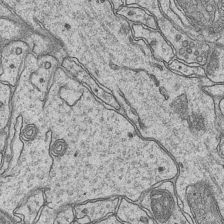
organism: Mouse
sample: CA1 Hippocampus